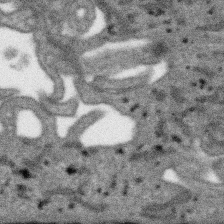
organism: Human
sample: Lung epithelial cells infected with SARS-CoV-2